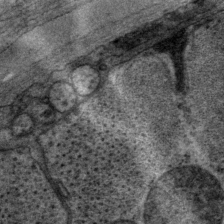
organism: P. pacificus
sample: Pharynx